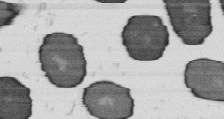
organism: B. subtilis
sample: Bacterial spore